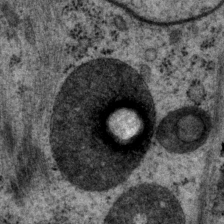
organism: P. pacificus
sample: Pharynx